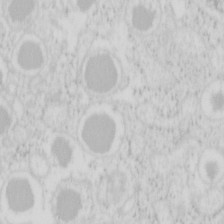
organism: Mouse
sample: Pancreas